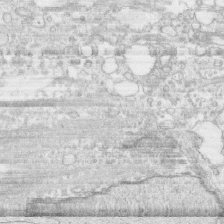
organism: Human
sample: CRL-1474